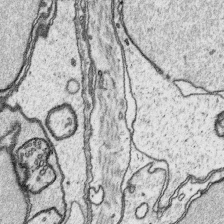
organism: Platynereis dumerilii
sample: Parapodia